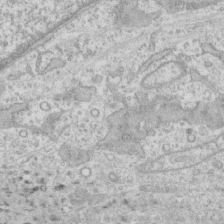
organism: Human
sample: CRL-1474